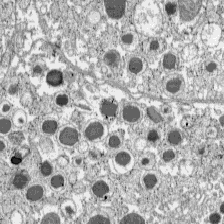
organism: C57BL Mouse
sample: Pancreatic islet